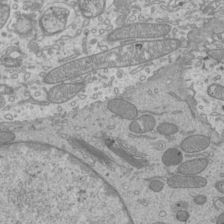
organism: Mouse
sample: Cilia; mouse epididymis